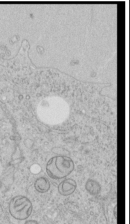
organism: Human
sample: Mitochondria in HCT116 cells